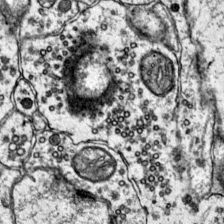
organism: Mouse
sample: Primary visual cortex